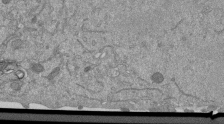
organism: Mouse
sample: ED-1 cell nuclei; centrioles